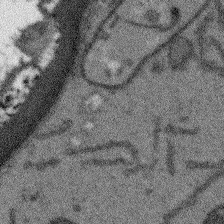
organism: Arabidopsis thaliana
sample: Root tip